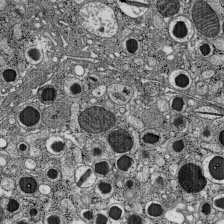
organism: C57BL Mouse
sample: Pancreatic islet